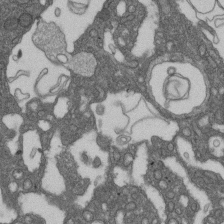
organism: Drosophila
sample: Nephrocyte